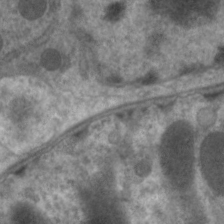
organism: C. elegans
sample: Pharynx